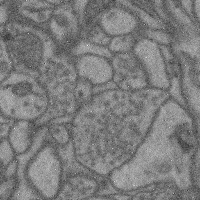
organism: Mouse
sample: Cerebral cortex